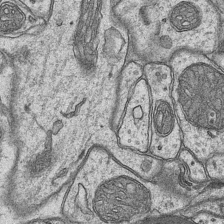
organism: Mouse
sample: CA1 Hippocampus